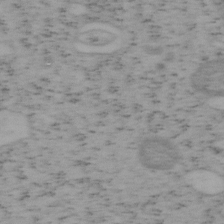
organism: Mouse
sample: OT-I killer T cells with ID8 ovarian cancer cells